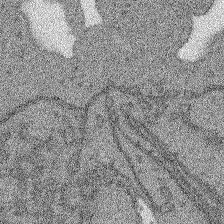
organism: Human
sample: HeLa cells